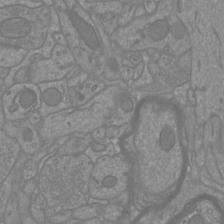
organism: Mouse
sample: Cortical neurons